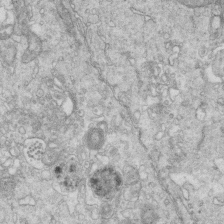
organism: Mouse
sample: Multiciliated cells